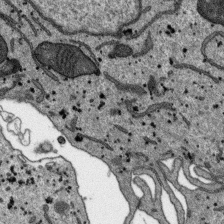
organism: Human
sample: Lung epithelial cells, uninfected (mock) control